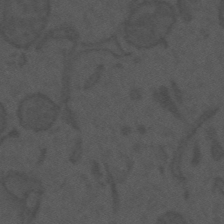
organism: Mouse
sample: Suprachiasmatic nucleus